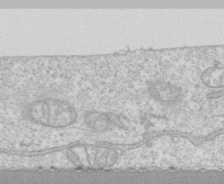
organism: Human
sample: CRL-1474